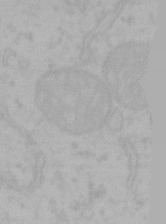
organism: Mouse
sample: Choroid plexus